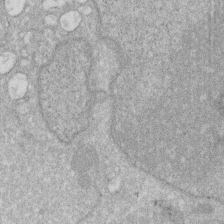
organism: Human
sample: HIV infected U937 cells